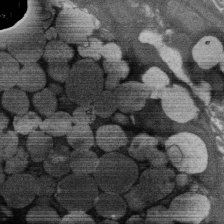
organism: Rat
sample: Salivary granule